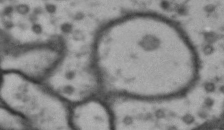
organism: Drosophila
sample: Brain